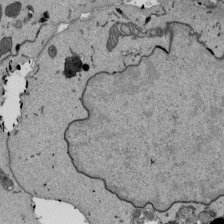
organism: Mouse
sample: ED-1 cell nuclei; centrioles